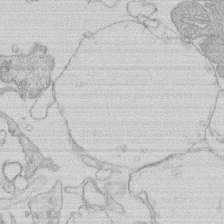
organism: Human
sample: Macrophage cells